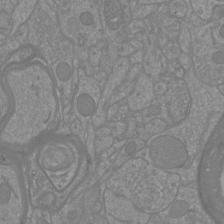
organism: Mouse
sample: Cortical neurons